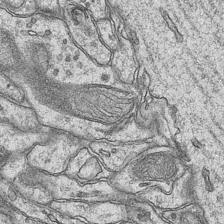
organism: Mouse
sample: CA1 Hippocampus